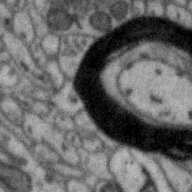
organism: Zebra finch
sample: Brain